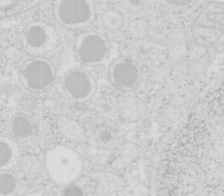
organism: Mouse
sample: Pancreas